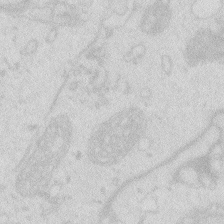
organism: Zebrafish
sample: Macrophage